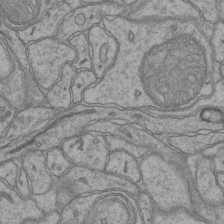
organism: Mouse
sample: CA1 Hippocampus